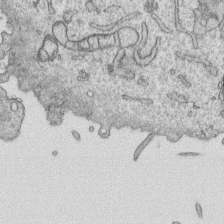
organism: Human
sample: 1205lu cells